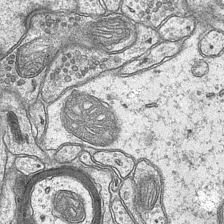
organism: Mouse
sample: CA1 Hippocampus